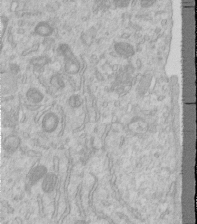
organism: Human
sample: Centriole in RPE cells